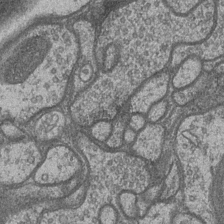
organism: Drosophila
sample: Optic medulla